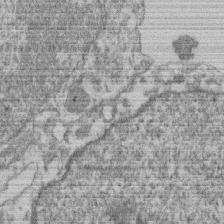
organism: Mouse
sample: T cell stromal cell synapse